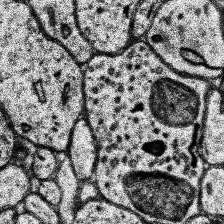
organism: Human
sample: Temporal Lobe